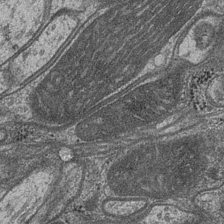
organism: Drosophila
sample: Optic medulla